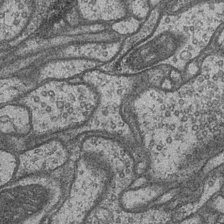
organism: Drosophila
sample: Optic medulla